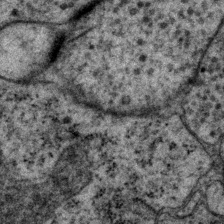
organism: P. pacificus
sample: Pharynx